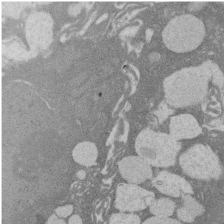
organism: Rat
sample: Salivary granule